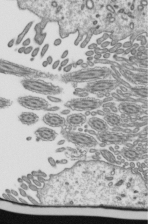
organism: Mouse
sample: Mouse epididymis efferent ductule cilia